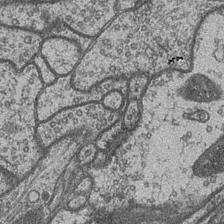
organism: Drosophila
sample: Optic medulla